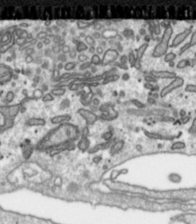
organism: Toxoplasma gondii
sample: Parasites in a vacuole inside a host cell